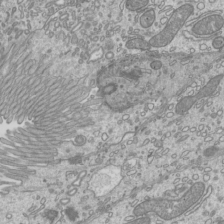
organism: Mouse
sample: Cilia; mouse epididymis